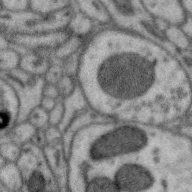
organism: Zebra finch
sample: Brain